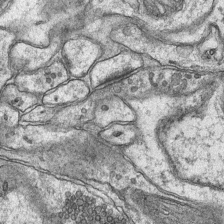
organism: Mouse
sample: CA1 Hippocampus